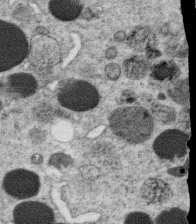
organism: C. elegans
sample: C. elegans oocyte; sperm cells